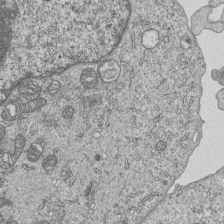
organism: Human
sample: MDA-MB-231 cells